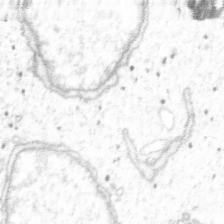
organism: Human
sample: HeLa cells